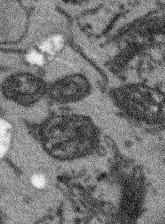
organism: Arabidopsis thaliana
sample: Root tip